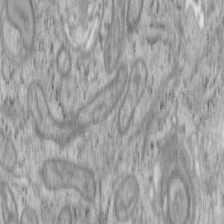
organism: Human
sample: HeLa cells